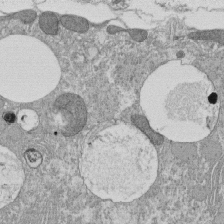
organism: Tetrahymena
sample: Cilia in tetrahymena